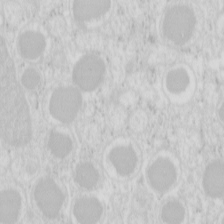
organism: Mouse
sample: Pancreas